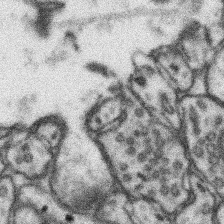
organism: Mouse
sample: Somatosensory cortex neuropil